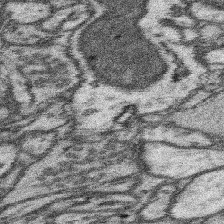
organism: Mouse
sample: Somatosensory cortex neuropil